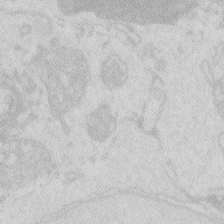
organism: Zebrafish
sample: Macrophage